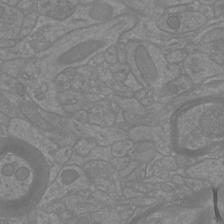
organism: Mouse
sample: Cortical neurons